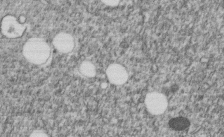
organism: C. elegans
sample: C. elegans embryo early stage